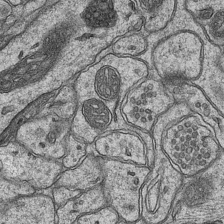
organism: Mouse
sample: CA1 Hippocampus